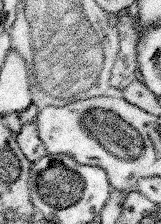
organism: Mouse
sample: Somatosensory cortex neuropil